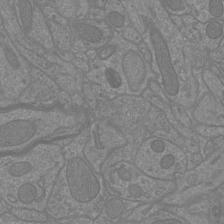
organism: Mouse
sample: Cortical neurons